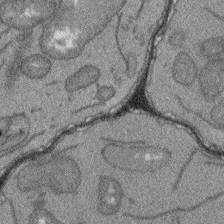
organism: Arabidopsis thaliana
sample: Root tip